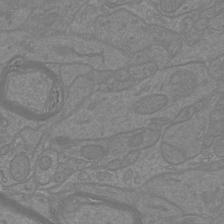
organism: Mouse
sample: Cortical neurons